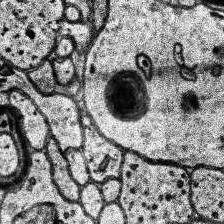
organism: Human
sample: Temporal Lobe